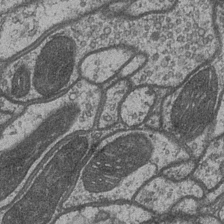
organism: Drosophila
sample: Optic medulla